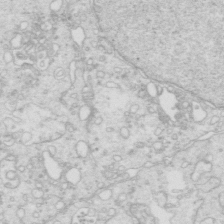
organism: Mouse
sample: Multiciliated cells